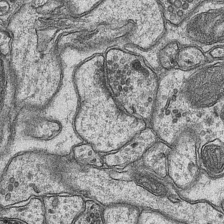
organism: Mouse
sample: CA1 Hippocampus